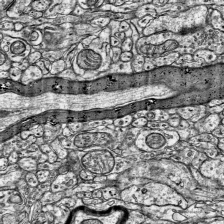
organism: Mouse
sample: Visual Cortex